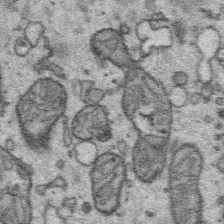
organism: Platynereis dumerilii